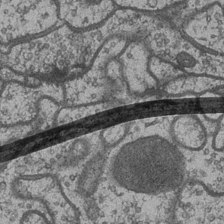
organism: Drosophila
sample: Optic medulla